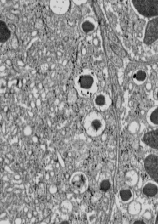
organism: C57BL Mouse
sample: Pancreatic islet